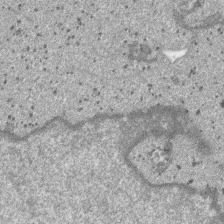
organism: Human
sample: Lung epithelial cells infected with SARS-CoV-2